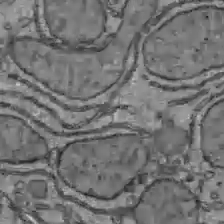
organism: C57BL Mouse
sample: Liver